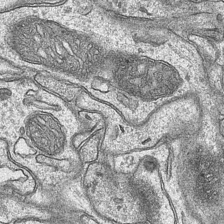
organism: Mouse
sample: CA1 Hippocampus